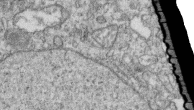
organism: Human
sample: HeLa cell HIV synapse